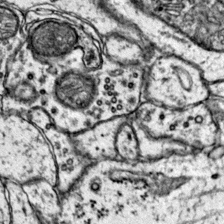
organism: Mouse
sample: Primary visual cortex